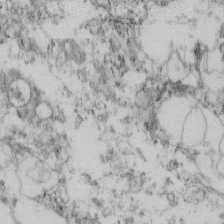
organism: Mouse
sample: Cilia; retinal pigment epithelium